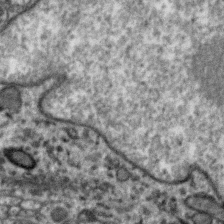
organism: Zebra finch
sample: Brain